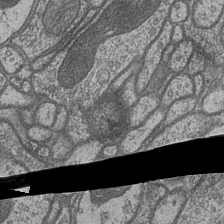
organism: Drosophila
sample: Optic medulla